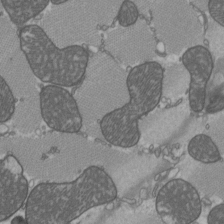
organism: C57BL Mouse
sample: Heart